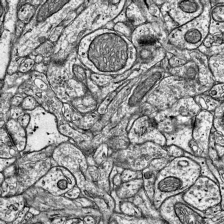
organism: Mouse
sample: Visual Cortex